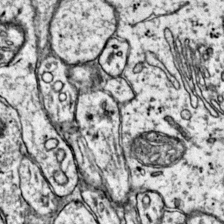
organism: Mouse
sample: Primary visual cortex